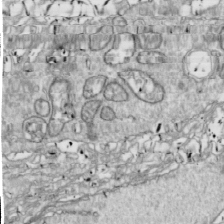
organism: Drosophila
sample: Cell division; meiosis; drosophila spermatocytes